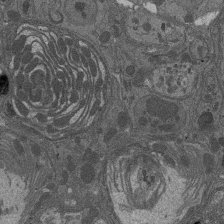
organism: Drosophila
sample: Antenna